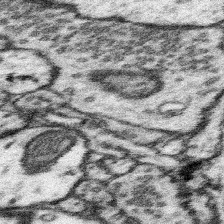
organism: Mouse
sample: Somatosensory cortex neuropil